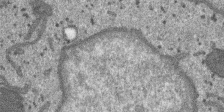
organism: Human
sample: Lung epithelial cells infected with SARS-CoV-2